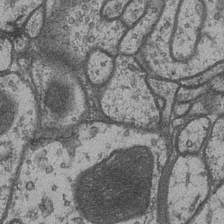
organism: Drosophila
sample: Optic medulla